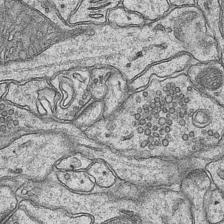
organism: Mouse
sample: CA1 Hippocampus